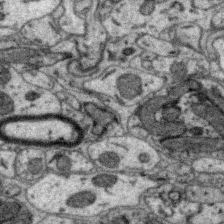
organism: Zebra finch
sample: Brain